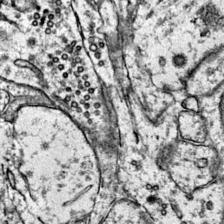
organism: Mouse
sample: Primary visual cortex